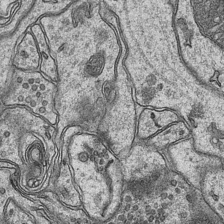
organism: Mouse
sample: CA1 Hippocampus